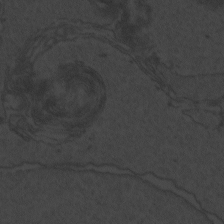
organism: Zebrafish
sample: Macrophage infected with Toxoplasma gondii